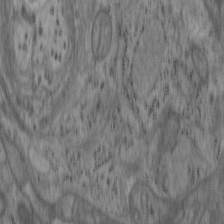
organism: Human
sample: HeLa cells